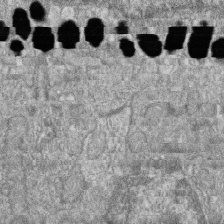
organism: Zebrafish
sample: Cilia; retinal pigment epithelium